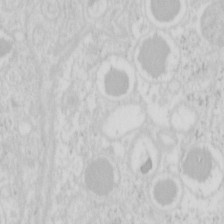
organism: Mouse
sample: Pancreas